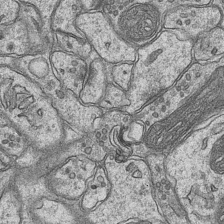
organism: Mouse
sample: CA1 Hippocampus